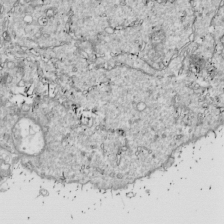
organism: Drosophila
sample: Cell division; meiosis; drosophila spermatocytes